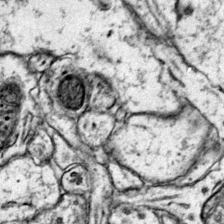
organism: Mouse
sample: Primary visual cortex